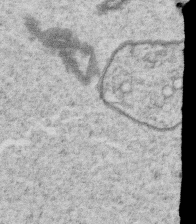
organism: C. elegans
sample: C. elegans oocyte; sperm cells